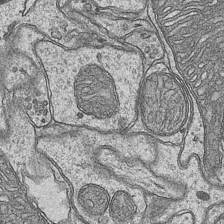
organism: Mouse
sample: CA1 Hippocampus